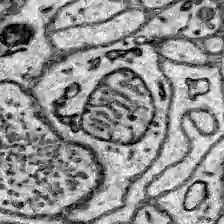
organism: Zebrafish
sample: Brain